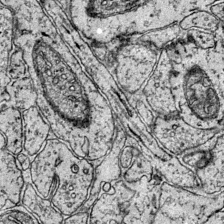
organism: Mouse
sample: Primary visual cortex